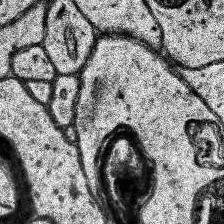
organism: Human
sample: Temporal Lobe